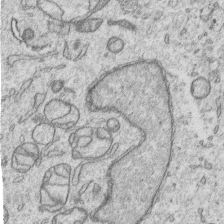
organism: Human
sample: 1205lu cells